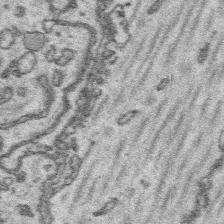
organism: Platynereis dumerilii